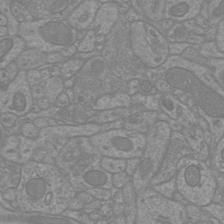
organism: Mouse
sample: Cortical neurons